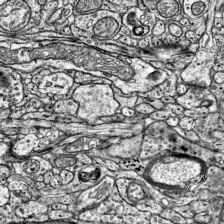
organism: Mouse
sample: Visual Cortex